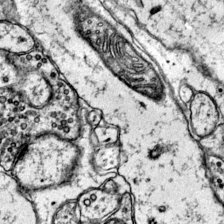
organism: Mouse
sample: Primary visual cortex